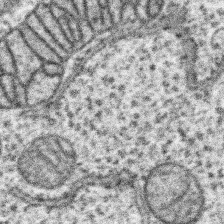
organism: Human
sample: HeLa cells